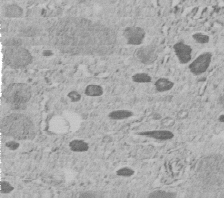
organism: C. elegans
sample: C. elegans embryo early stage